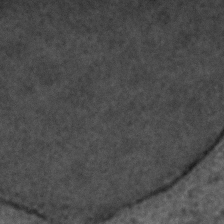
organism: C. elegans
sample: C. elegans embryo